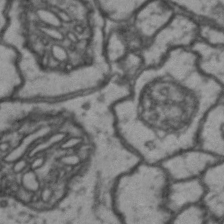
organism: Drosophila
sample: Brain